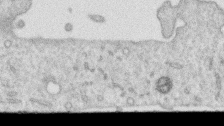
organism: Human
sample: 1205lu cells